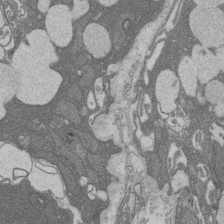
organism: Rat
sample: Salivary granule